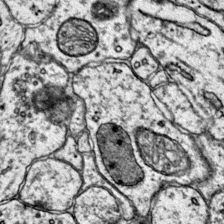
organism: Mouse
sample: Primary visual cortex